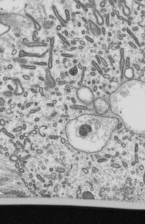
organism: Mouse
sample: Mouse epididymis efferent ductule cilia